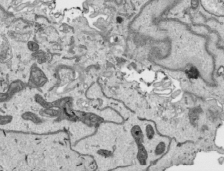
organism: Human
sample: Mitochondria in HCT116 cells